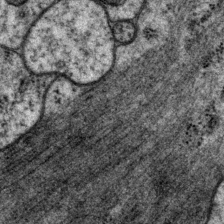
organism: P. pacificus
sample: Pharynx